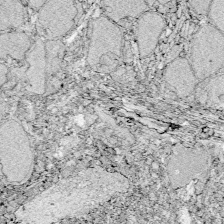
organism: Zebrafish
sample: Whole-Brain